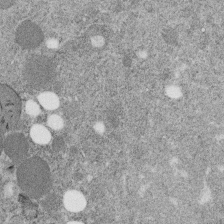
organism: C. elegans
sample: C. elegans embryo early stage